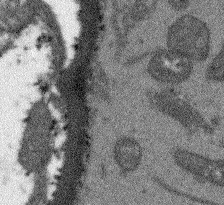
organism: Arabidopsis thaliana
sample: Root tip